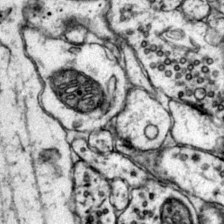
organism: Mouse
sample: Primary visual cortex